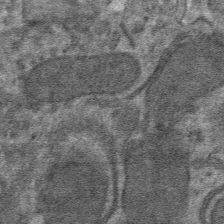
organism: Mouse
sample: Mouse hepatocytes